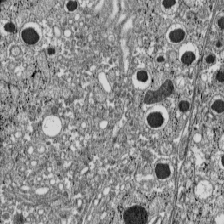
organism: C57BL Mouse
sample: Pancreatic islet